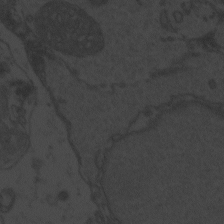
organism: Zebrafish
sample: Macrophage infected with Toxoplasma gondii